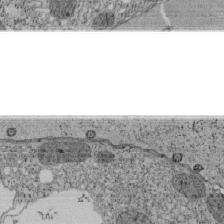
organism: Tetrahymena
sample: Cilia in tetrahymena